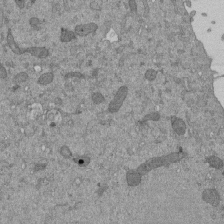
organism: Mouse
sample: ED-1 cell nuclei; centrioles